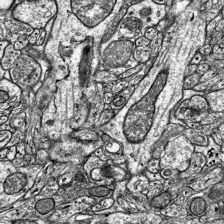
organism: Mouse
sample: Visual Cortex